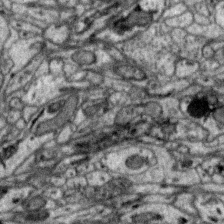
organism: Zebra finch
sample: Brain